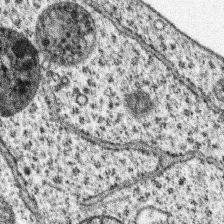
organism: Human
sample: HeLa cells